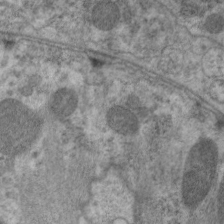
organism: C. elegans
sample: Pharynx